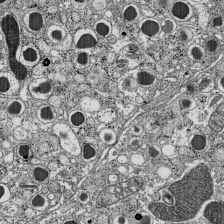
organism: C57BL Mouse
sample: Pancreatic islet